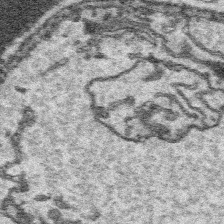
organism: Platynereis dumerilii